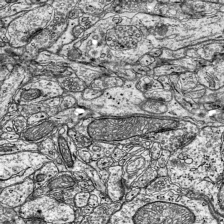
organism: Mouse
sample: Visual Cortex